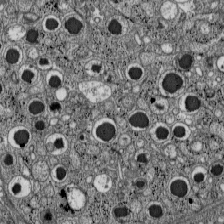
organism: C57BL Mouse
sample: Pancreatic islet